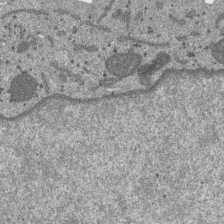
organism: Human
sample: Lung epithelial cells infected with SARS-CoV-2